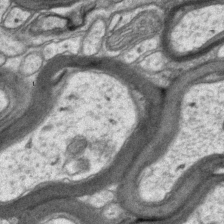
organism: Mouse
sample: CA1 Hippocampus